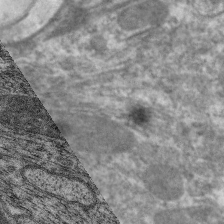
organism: C. elegans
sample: Pharynx